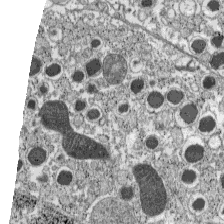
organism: C57BL Mouse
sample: Pancreatic islet